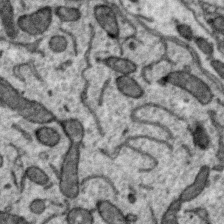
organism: Zebra finch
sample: Brain